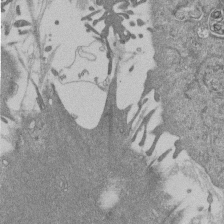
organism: Mouse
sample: ED-1 cell nuclei; centrioles